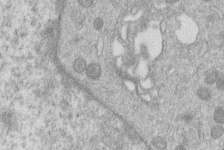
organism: Human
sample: Macrophage cells